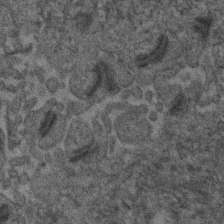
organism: Human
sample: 1205lu cells